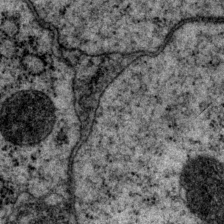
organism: P. pacificus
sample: Pharynx